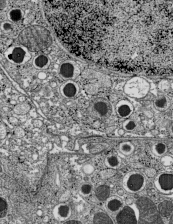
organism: C57BL Mouse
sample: Pancreatic islet